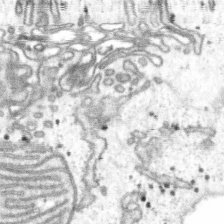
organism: Human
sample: HeLa cells